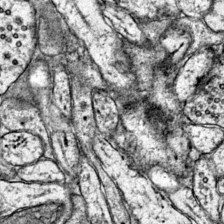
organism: Mouse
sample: Primary visual cortex